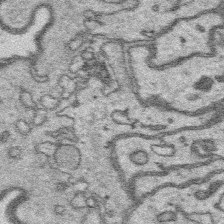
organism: Platynereis dumerilii